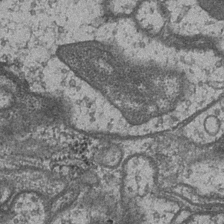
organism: Drosophila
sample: Optic medulla